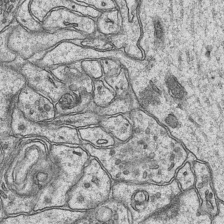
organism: Mouse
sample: CA1 Hippocampus